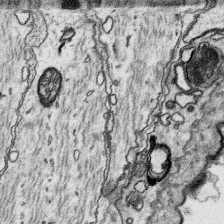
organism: Platynereis dumerilii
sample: Parapodia